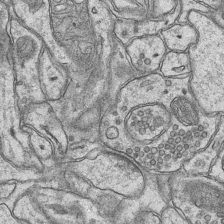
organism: Mouse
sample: CA1 Hippocampus